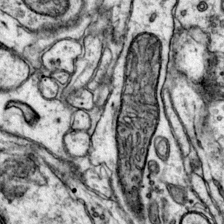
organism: Mouse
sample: Primary visual cortex